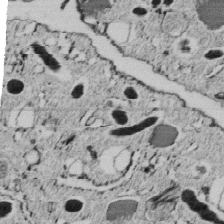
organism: C. elegans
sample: C. elegans embryo early stage